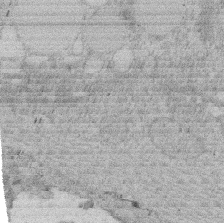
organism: Rat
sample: Salivary granule